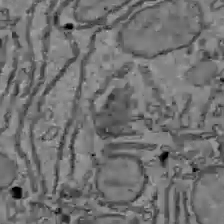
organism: C57BL Mouse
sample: Liver